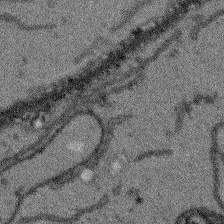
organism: Arabidopsis thaliana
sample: Root tip